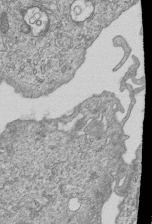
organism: Human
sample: MDA-MB-231 cells